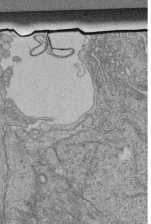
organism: Human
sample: Retinal organoid Rod and Cone cells